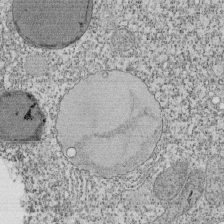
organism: Tetrahymena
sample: Cilia in tetrahymena